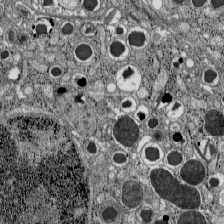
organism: C57BL Mouse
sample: Pancreatic islet